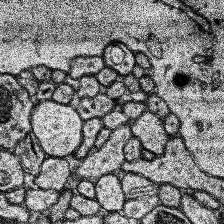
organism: Human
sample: Temporal Lobe